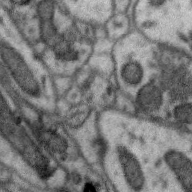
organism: Zebra finch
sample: Brain